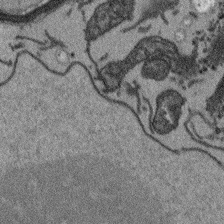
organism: Arabidopsis thaliana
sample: Root tip